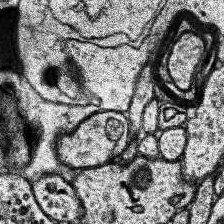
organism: Human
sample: Temporal Lobe